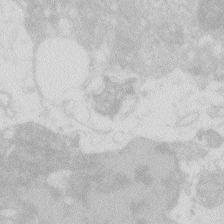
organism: Zebrafish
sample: Macrophage